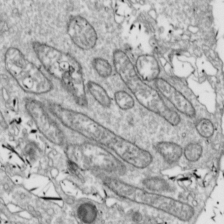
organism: Drosophila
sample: Cell division; meiosis; drosophila spermatocytes